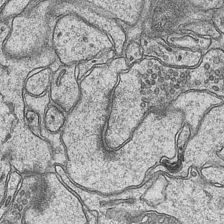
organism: Mouse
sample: CA1 Hippocampus